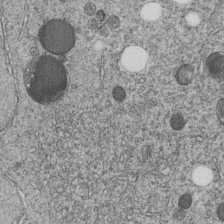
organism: C. elegans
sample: C. elegans embryo early stage